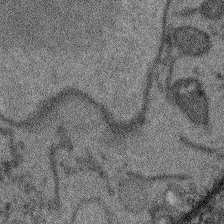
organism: Arabidopsis thaliana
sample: Root tip